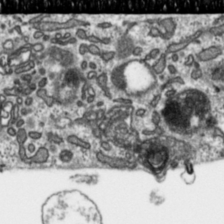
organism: Toxoplasma gondii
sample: Parasites in a vacuole inside a host cell